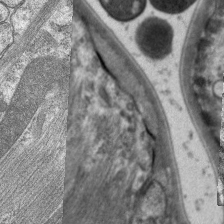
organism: C. elegans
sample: Pharynx